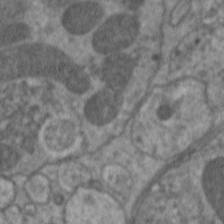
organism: C. elegans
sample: Pharynx